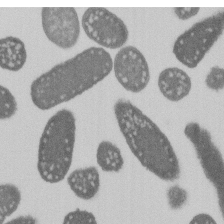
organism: E. coli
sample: Bacterial nucleoid